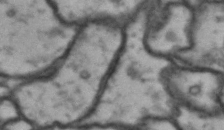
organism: Drosophila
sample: Brain